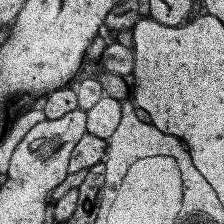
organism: Human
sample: Temporal Lobe